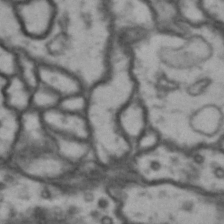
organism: Drosophila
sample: Brain